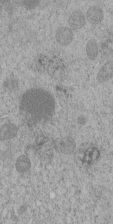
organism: C. elegans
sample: C. elegans embryo early stage